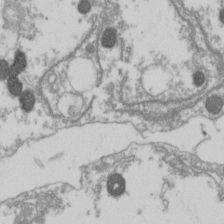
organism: Drosophila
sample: Cell division; meiosis; drosophila spermatocytes